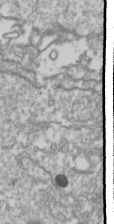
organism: Drosophila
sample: Cell division; meiosis; drosophila spermatocytes